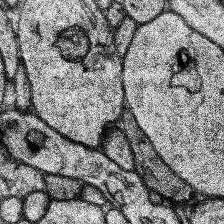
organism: Human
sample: Temporal Lobe